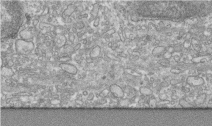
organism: Human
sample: Centriole in RPE cells